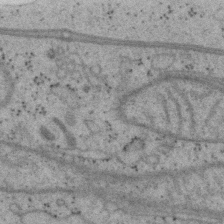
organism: Human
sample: HeLa cells